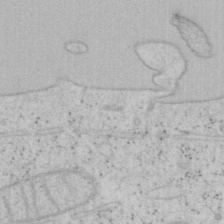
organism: Human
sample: HeLa cells